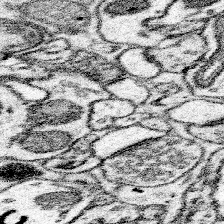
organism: Mouse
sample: Somatosensory cortex neuropil